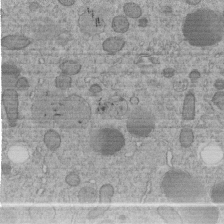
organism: C. elegans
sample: C. elegans embryo early stage